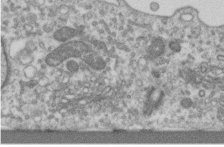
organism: Human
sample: Centriole in RPE cells